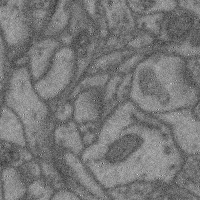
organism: Mouse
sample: Cerebral cortex